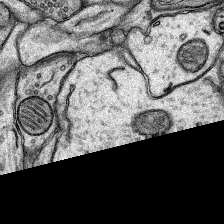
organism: Rat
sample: Hippocampus